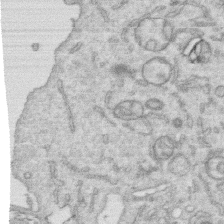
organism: Human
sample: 1205lu cells